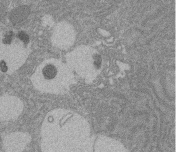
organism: Rat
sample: Salivary granule